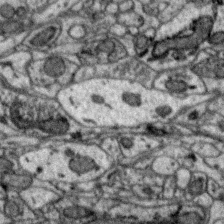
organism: Zebra finch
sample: Brain